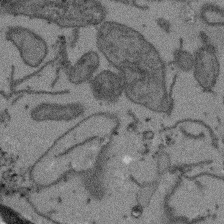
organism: Arabidopsis thaliana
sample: Root tip